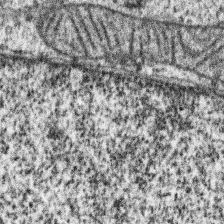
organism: Human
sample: HeLa cells